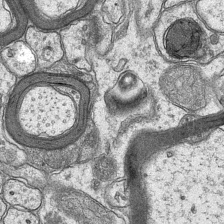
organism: Mouse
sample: CA1 Hippocampus